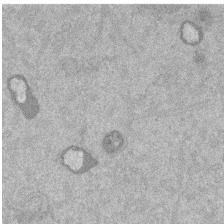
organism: Mouse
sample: Dividing mouse embryo 1 cell stage